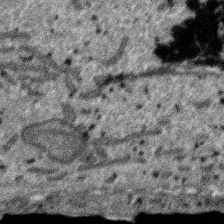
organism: Human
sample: Lung epithelial cells infected with SARS-CoV-2